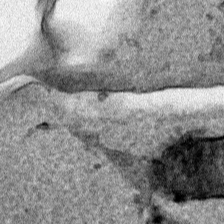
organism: Human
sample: Mitochondria in HCT116 cells